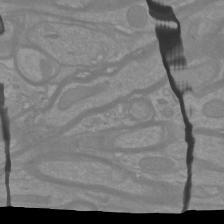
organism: Mouse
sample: Cortical neurons